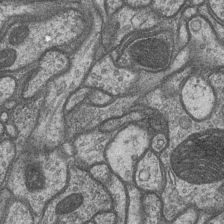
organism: Drosophila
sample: Optic medulla